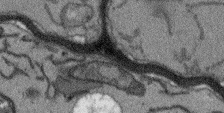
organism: Arabidopsis thaliana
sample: Root tip